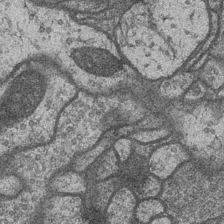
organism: Drosophila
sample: Optic medulla